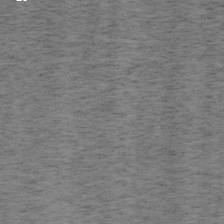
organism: Mouse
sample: OT-I killer T cells with ID8 ovarian cancer cells